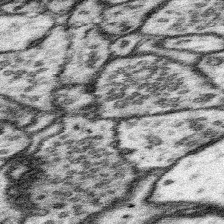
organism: Mouse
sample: Somatosensory cortex neuropil